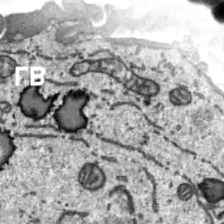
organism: Human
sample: HeLa cells